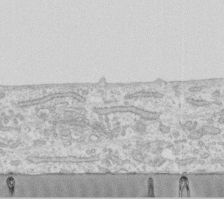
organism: Human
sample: Fibroblast cells